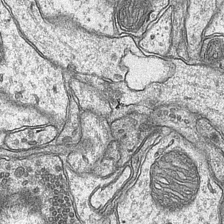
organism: Mouse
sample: CA1 Hippocampus